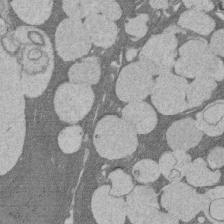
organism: Rat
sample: Salivary granule